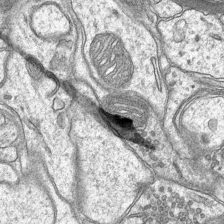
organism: Mouse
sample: CA1 Hippocampus